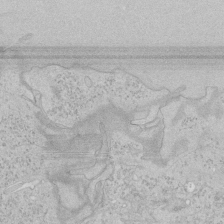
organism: Human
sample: Mitochondria in HCT116 cells